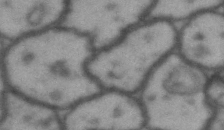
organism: Drosophila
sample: Brain